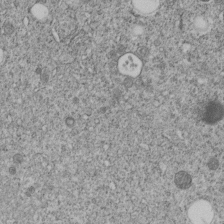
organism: C. elegans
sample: C. elegans embryo early stage